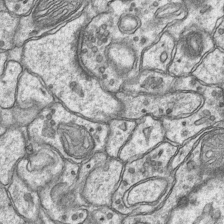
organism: Mouse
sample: CA1 Hippocampus